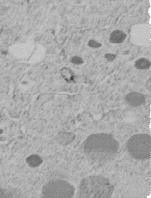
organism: C. elegans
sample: C. elegans embryo early stage